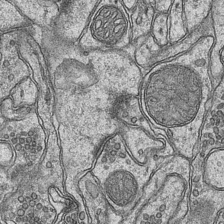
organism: Mouse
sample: CA1 Hippocampus